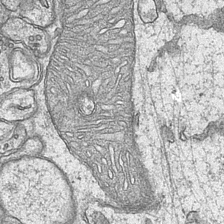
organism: Mouse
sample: CA1 Hippocampus